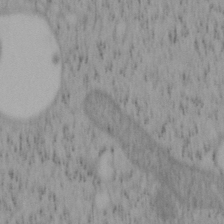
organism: Mouse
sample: OT-I killer T cells with ID8 ovarian cancer cells